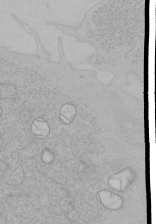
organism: Human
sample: Mitochondria in HCT116 cells